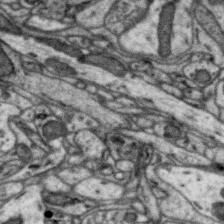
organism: Zebra finch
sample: Brain